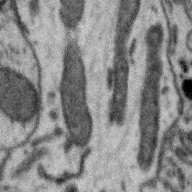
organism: Zebra finch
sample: Brain